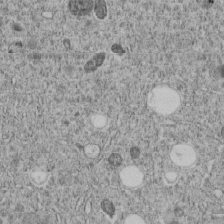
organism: C. elegans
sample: C. elegans embryo early stage